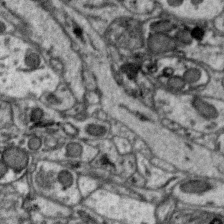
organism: Zebra finch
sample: Brain